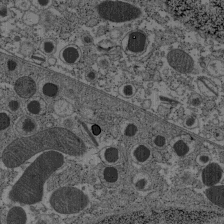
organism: C57BL Mouse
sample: Pancreatic islet